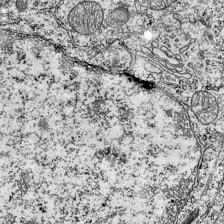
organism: Mouse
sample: Visual Cortex